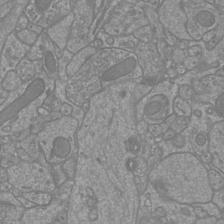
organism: Mouse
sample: Cortical neurons